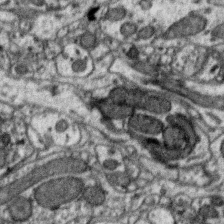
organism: Zebra finch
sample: Brain